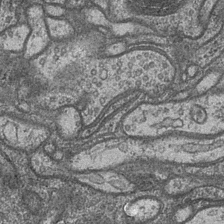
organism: Drosophila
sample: Optic medulla